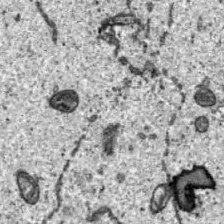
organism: Human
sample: HeLa cells